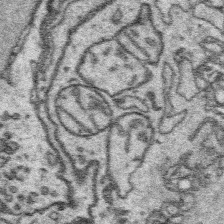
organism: Platynereis dumerilii